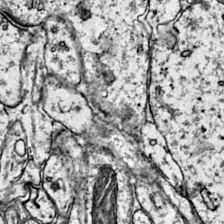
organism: Mouse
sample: Primary visual cortex